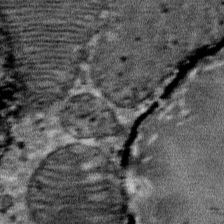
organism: Mouse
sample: Mouse Salivary gland